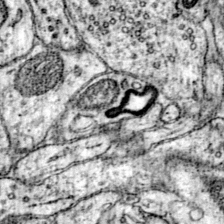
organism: Mouse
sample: Primary visual cortex